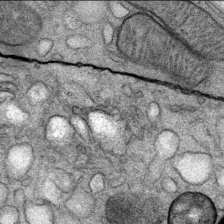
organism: Mouse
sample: Mouse Salivary gland